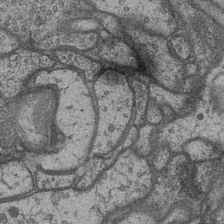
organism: Drosophila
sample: Optic medulla